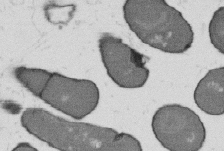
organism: B. subtilis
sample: Bacterial spore